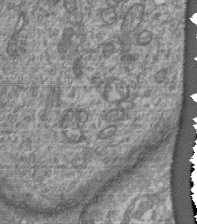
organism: Human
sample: Retinal organoid Rod and Cone cells